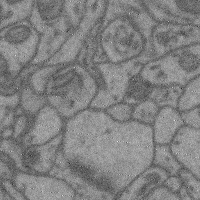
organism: Mouse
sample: Cerebral cortex